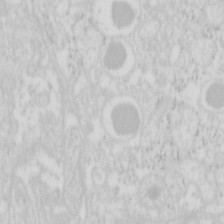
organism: Mouse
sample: Pancreas